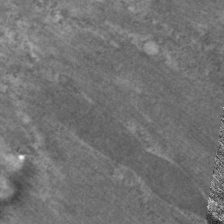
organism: C. elegans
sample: Pharynx